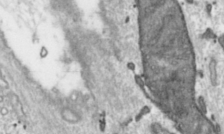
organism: Toxoplasma gondii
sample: Parasites in a vacuole inside a host cell